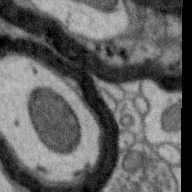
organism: Zebra finch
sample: Brain